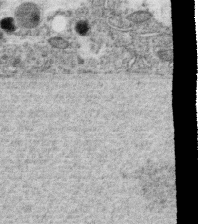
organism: C. elegans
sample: C. elegans oocyte; sperm cells